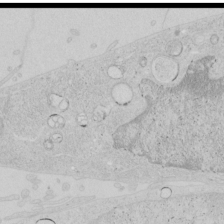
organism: Human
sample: Mitochondria in HCT116 cells